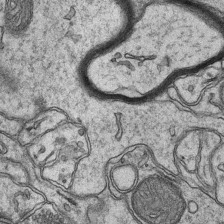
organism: Mouse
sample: CA1 Hippocampus